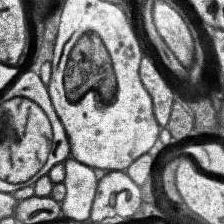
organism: Human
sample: Temporal Lobe